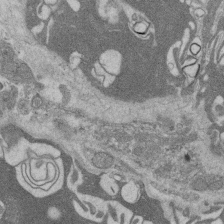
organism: Rat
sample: Salivary granule